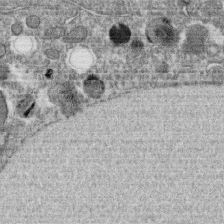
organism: C. elegans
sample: C. elegans oocyte; sperm cells